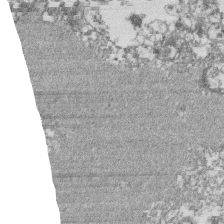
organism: Human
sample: HeLa cell HIV synapse